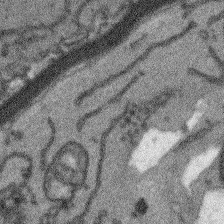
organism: Arabidopsis thaliana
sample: Root tip